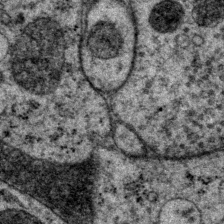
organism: P. pacificus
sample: Pharynx